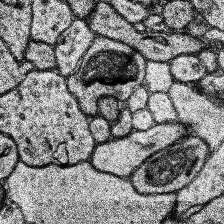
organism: Human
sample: Temporal Lobe